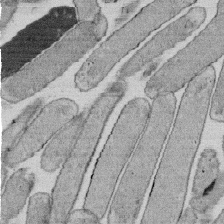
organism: E. coli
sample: Bacterial nucleoid